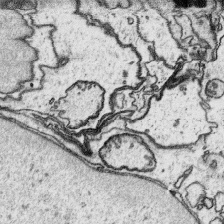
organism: Platynereis dumerilii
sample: Parapodia